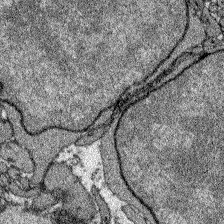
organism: Zebrafish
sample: Larval olfactory bulb